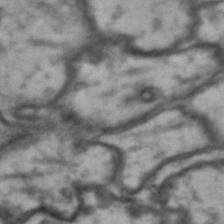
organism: Drosophila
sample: Brain